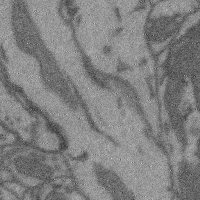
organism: Mouse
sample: Cerebral cortex